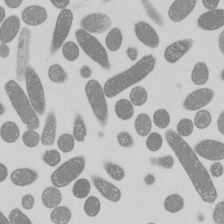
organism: E. coli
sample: Bacterial nucleoid